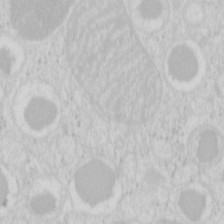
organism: Mouse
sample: Pancreas